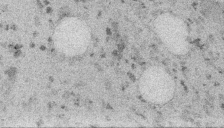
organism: Embia sp.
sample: Silk gland